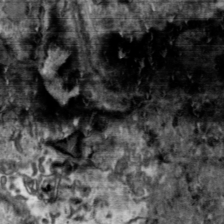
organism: Toxoplasma gondii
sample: Parasites in a vacuole inside a host cell